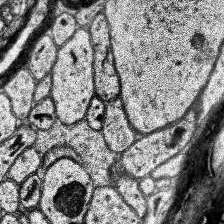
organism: Human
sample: Temporal Lobe